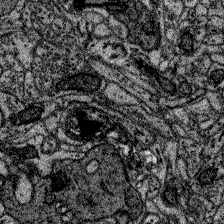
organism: Zebrafish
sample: Larval olfactory bulb